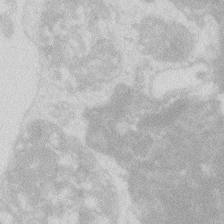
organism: Zebrafish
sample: Macrophage